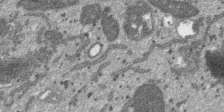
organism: Human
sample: Lung epithelial cells infected with SARS-CoV-2